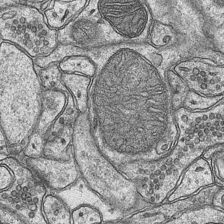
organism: Mouse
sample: CA1 Hippocampus